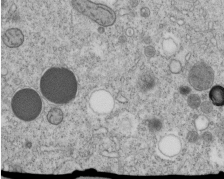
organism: C. elegans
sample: C. elegans embryo early stage